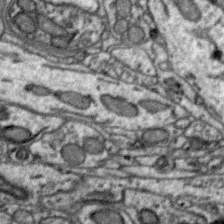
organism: Zebra finch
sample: Brain